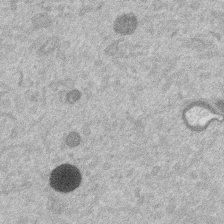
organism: Mouse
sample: Dividing mouse embryo 1 cell stage